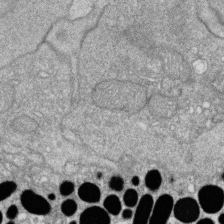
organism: Zebrafish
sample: Cilia; retinal pigment epithelium